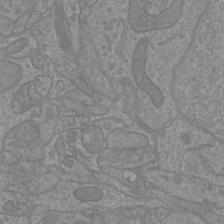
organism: Mouse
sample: Cortical neurons